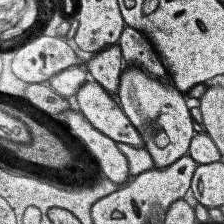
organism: Human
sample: Temporal Lobe